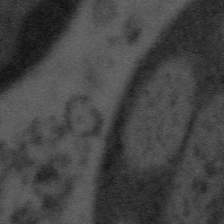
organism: Tuwongella immobilis